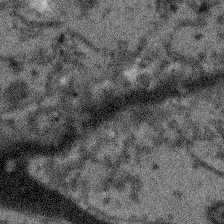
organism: Arabidopsis thaliana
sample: Root tip